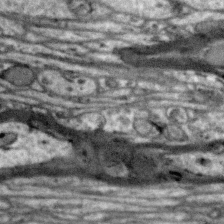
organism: Zebra finch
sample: Brain